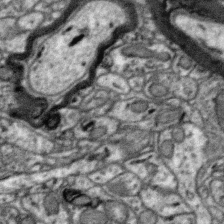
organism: Zebra finch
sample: Brain